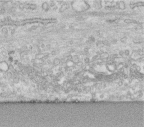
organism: Human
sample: Centriole in fibroblast cells